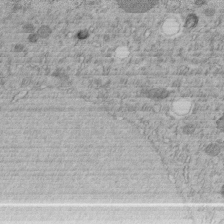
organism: C. elegans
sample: C. elegans embryo early stage